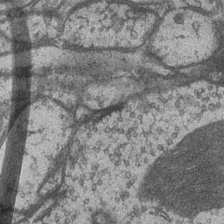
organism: Drosophila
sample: Optic medulla